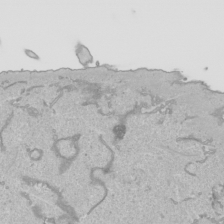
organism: Human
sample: Mitochondria in HCT116 cells